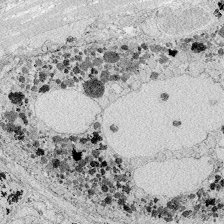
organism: Zebrafish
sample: Whole-Brain